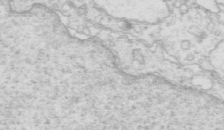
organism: Mouse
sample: Multiciliated cells